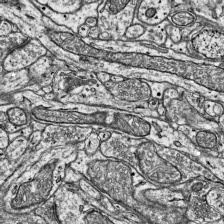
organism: Mouse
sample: Visual Cortex